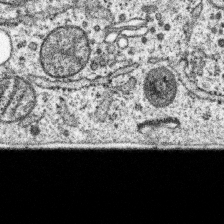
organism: Human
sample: HeLa cells